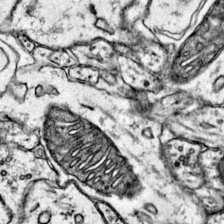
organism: Mouse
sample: Primary visual cortex